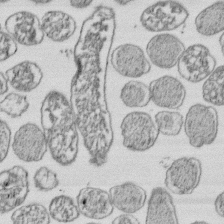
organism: E. coli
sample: Bacterial nucleoid